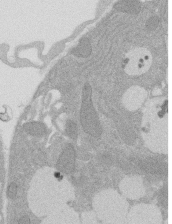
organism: Rat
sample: Salivary granule